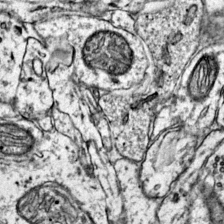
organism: Mouse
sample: Primary visual cortex